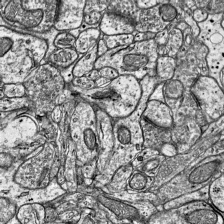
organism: Mouse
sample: Visual Cortex